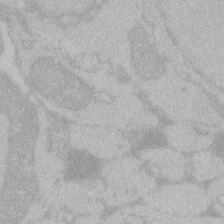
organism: Zebrafish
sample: Macrophage infected with Toxoplasma gondii